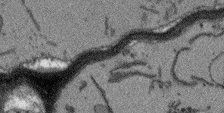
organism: Arabidopsis thaliana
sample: Root tip